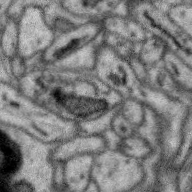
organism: Zebra finch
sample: Brain